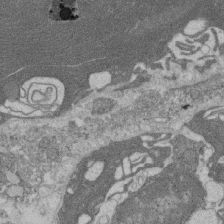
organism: Rat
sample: Salivary granule